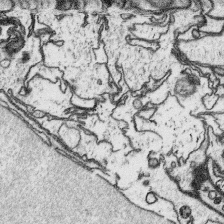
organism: Platynereis dumerilii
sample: Parapodia